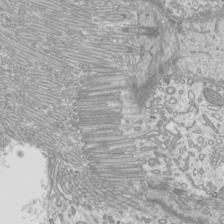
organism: Mouse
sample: Cilia; mouse epididymis